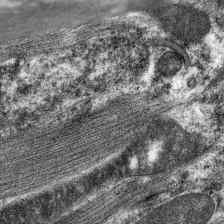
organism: C. elegans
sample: Pharynx